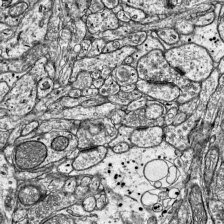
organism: Mouse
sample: Visual Cortex